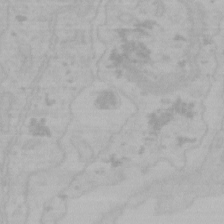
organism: Mouse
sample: Choroid plexus